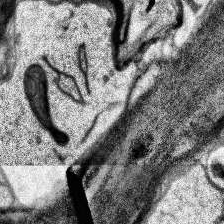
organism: Human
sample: Temporal Lobe